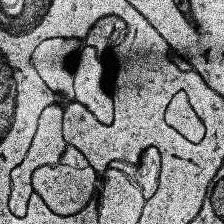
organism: Human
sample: Temporal Lobe